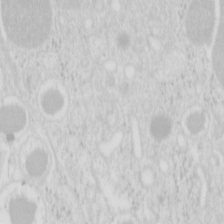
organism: Mouse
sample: Pancreas